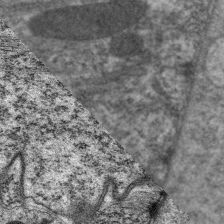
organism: C. elegans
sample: Pharynx